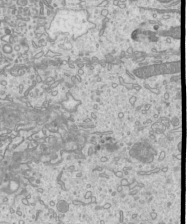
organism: Mouse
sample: Cilia; mouse epididymis